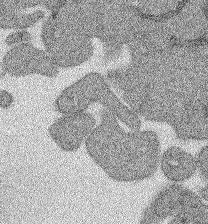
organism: Human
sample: HeLa cells